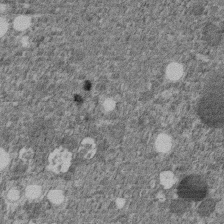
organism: C. elegans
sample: C. elegans embryo early stage